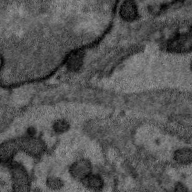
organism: Zebra finch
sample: Brain